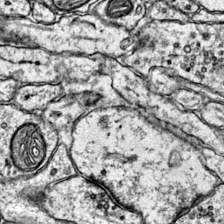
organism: Mouse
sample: Primary visual cortex